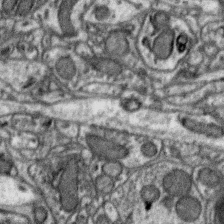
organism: Zebra finch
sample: Brain